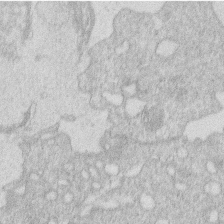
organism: Human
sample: Macrophage cells